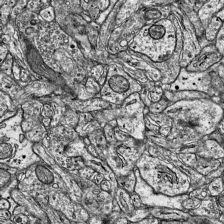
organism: Mouse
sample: Visual Cortex